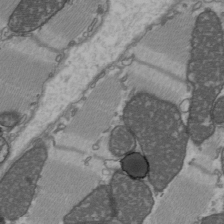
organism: C57BL Mouse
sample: Heart